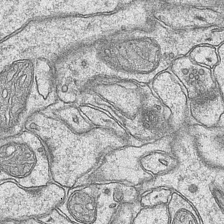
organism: Mouse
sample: CA1 Hippocampus